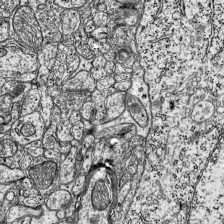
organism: Mouse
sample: Visual Cortex